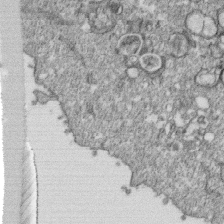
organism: African green monkey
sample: Vero E6 cells infected with SARS-CoV-2